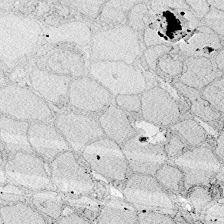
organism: Zebrafish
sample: Whole-Brain